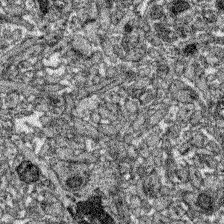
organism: Zebrafish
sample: Larval olfactory bulb